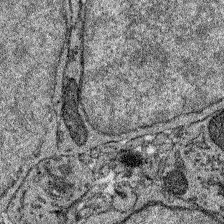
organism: Zebrafish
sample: Larval olfactory bulb